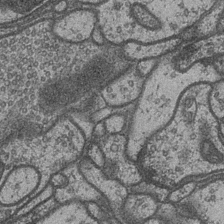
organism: Drosophila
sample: Optic medulla